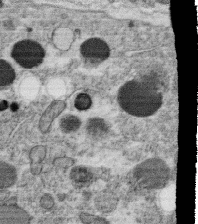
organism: C. elegans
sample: C. elegans oocyte; sperm cells